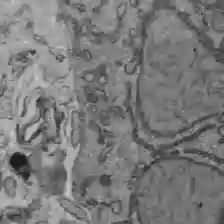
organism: C57BL Mouse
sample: Liver